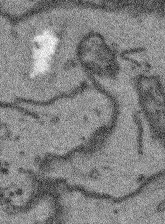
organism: Arabidopsis thaliana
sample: Root tip